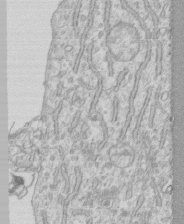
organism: Human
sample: CRL-1474